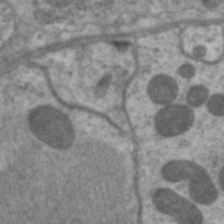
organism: C. elegans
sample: Pharynx